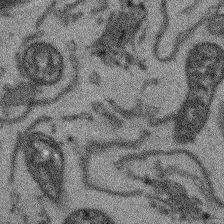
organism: Arabidopsis thaliana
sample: Root tip